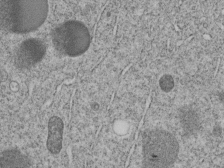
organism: C. elegans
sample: C. elegans embryo early stage